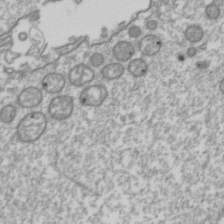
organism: Drosophila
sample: Cell division; meiosis; drosophila spermatocytes